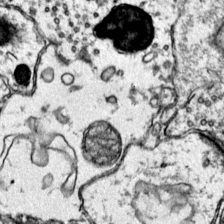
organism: Mouse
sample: Primary visual cortex